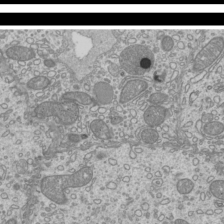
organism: Mouse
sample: Cilia; mouse epididymis